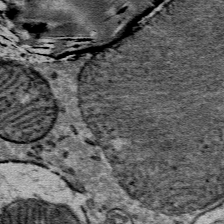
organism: Mouse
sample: Mouse Salivary gland